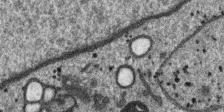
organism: Human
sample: Lung epithelial cells infected with SARS-CoV-2